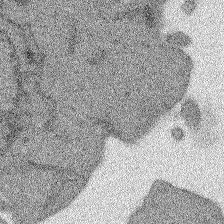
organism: Human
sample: HeLa cells